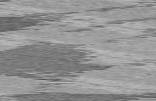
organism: C57BL Mouse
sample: Heart